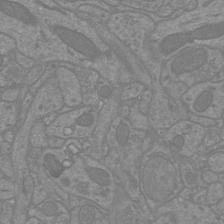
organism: Mouse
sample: Cortical neurons